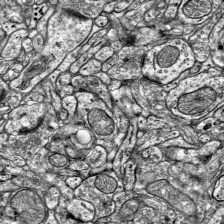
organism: Mouse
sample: Visual Cortex